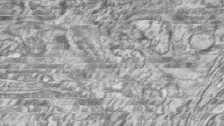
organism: Zebrafish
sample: synaptic ribbons in rod cells and cone cells